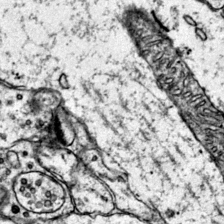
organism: Mouse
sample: Primary visual cortex